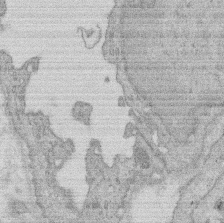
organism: Rat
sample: Salivary granule